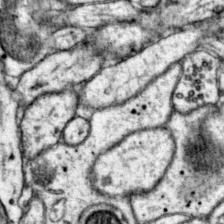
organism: Mouse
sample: Primary visual cortex